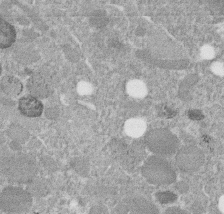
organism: C. elegans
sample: C. elegans embryo early stage